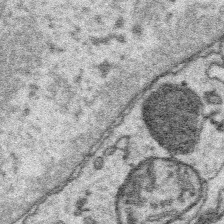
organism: Platynereis dumerilii